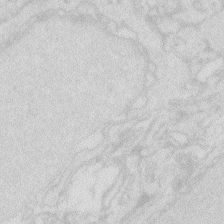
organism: Zebrafish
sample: Macrophage